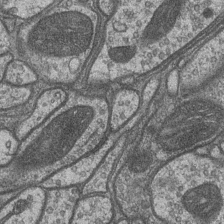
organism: Drosophila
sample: Optic medulla